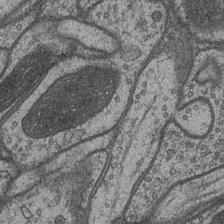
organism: Drosophila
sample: Optic medulla